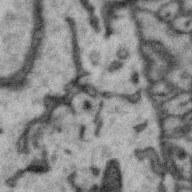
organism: Zebra finch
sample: Brain